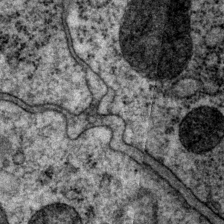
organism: P. pacificus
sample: Pharynx